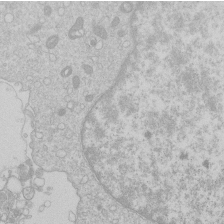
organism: Human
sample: Macrophage cells